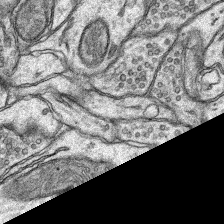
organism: Rat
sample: Hippocampus